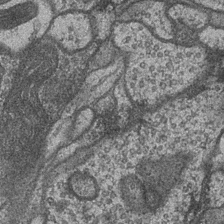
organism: Drosophila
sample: Optic medulla